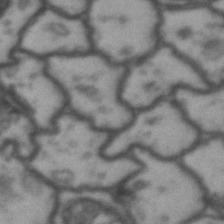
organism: Drosophila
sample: Brain